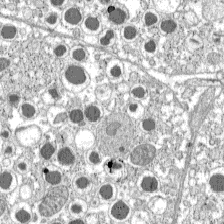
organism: C57BL Mouse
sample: Pancreatic islet